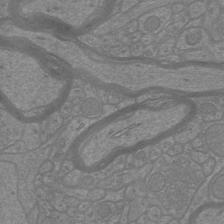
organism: Mouse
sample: Cortical neurons